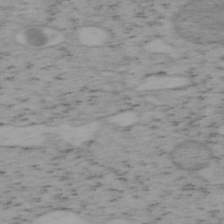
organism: Mouse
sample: OT-I killer T cells with ID8 ovarian cancer cells